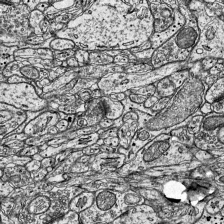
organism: Mouse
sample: Visual Cortex